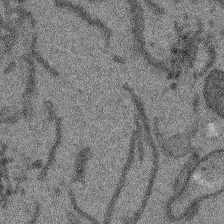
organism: Arabidopsis thaliana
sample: Root tip